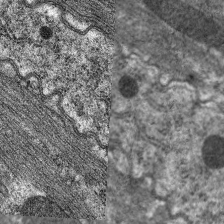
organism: C. elegans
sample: Pharynx